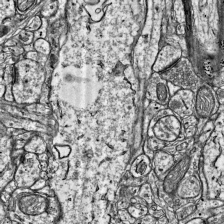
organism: Mouse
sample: Visual Cortex